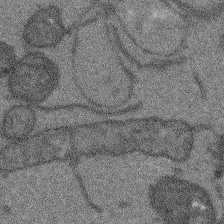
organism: Arabidopsis thaliana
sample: Root tip